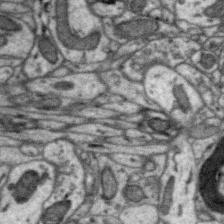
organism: Zebra finch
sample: Brain